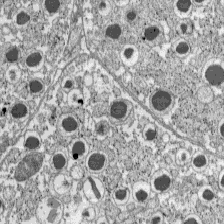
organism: C57BL Mouse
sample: Pancreatic islet